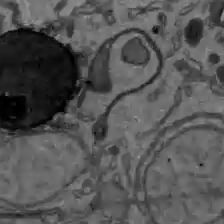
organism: C57BL Mouse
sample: Liver